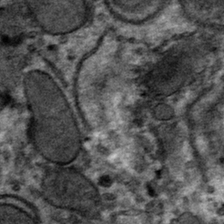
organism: Mouse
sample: Mouse hepatocytes